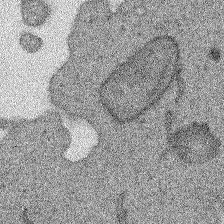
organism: Human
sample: HeLa cells